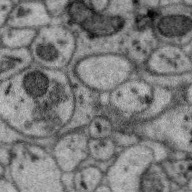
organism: Zebra finch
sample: Brain